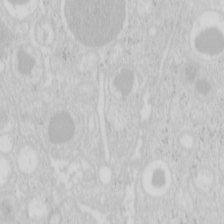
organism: Mouse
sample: Pancreas